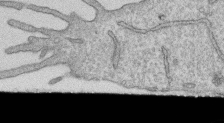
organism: Human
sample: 1205lu cells